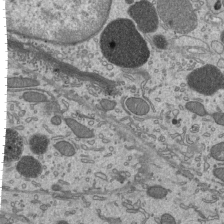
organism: Mouse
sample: Mouse epididymis efferent ductule cilia